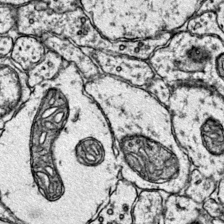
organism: Mouse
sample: Primary visual cortex